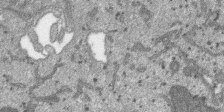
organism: Human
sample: Lung epithelial cells infected with SARS-CoV-2